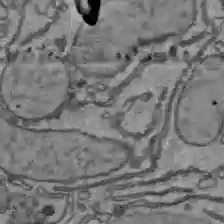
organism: C57BL Mouse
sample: Liver